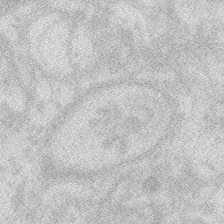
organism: Zebrafish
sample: Macrophage